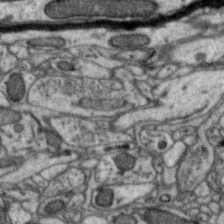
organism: Zebra finch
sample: Brain